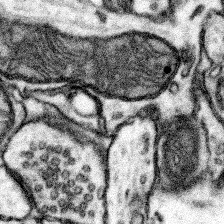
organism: Mouse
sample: Somatosensory cortex neuropil